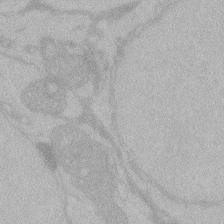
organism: Zebrafish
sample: Macrophage infected with Toxoplasma gondii